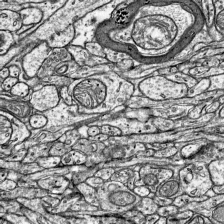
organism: Mouse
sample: Visual Cortex